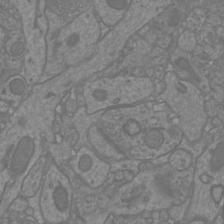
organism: Mouse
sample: Cortical neurons